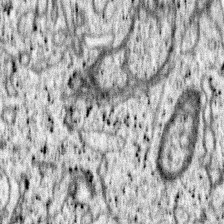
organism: Human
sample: HeLa cells